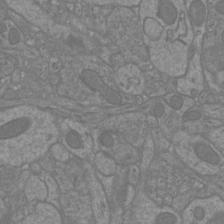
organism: Mouse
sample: Cortical neurons